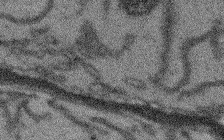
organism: Arabidopsis thaliana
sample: Root tip